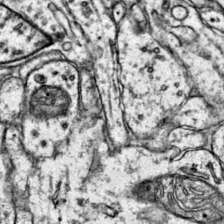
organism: Mouse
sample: Primary visual cortex